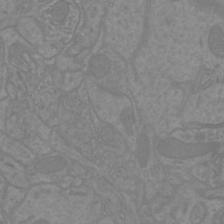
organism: Mouse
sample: Cortical neurons